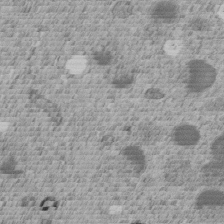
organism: C. elegans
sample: C. elegans embryo early stage